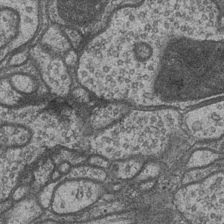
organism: Drosophila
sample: Optic medulla